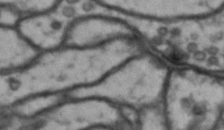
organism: Drosophila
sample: Brain